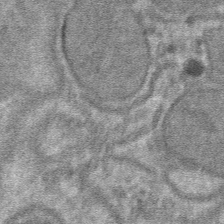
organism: Mouse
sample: Mouse hepatocytes